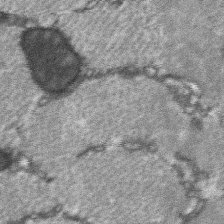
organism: C57BL Mouse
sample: Soleus